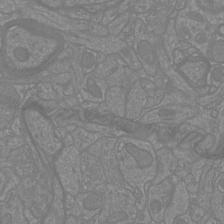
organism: Mouse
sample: Cortical neurons